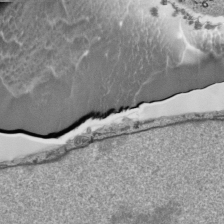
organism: Human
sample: Mitochondria in HCT116 cells